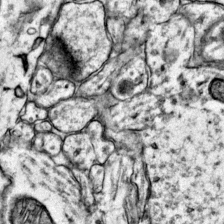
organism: Mouse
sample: Primary visual cortex